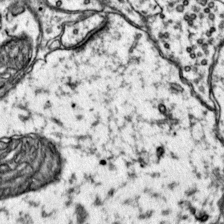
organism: Mouse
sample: Primary visual cortex